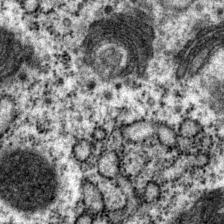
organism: P. pacificus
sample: Pharynx